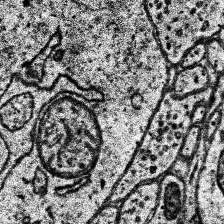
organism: Human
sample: Temporal Lobe